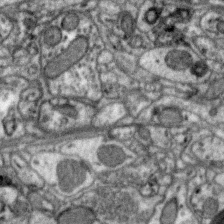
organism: Zebra finch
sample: Brain